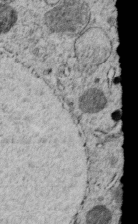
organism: C. elegans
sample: C. elegans embryo early stage